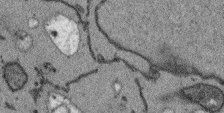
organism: Arabidopsis thaliana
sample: Root tip